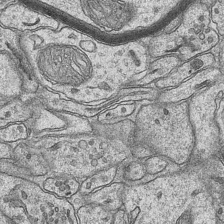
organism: Mouse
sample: CA1 Hippocampus